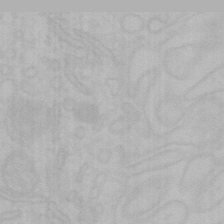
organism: Mouse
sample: Choroid plexus